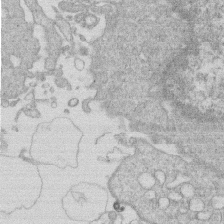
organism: Human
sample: Macrophage cells